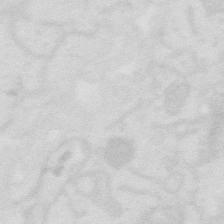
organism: Human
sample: HeLa cells